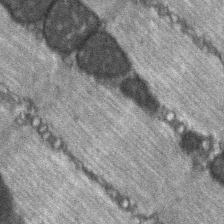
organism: C57BL Mouse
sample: Soleus